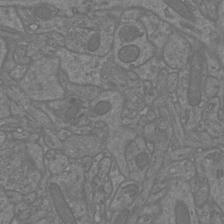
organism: Mouse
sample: Cortical neurons